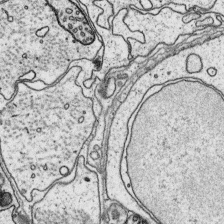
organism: Platynereis dumerilii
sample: Parapodia